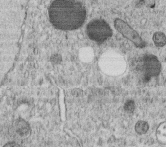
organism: C. elegans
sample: C. elegans embryo early stage